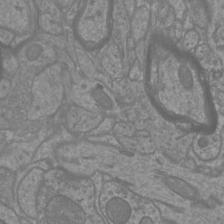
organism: Mouse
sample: Cortical neurons